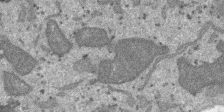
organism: Human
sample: Lung epithelial cells infected with SARS-CoV-2